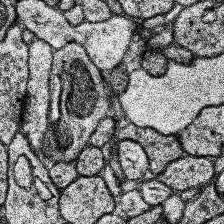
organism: Human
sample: Temporal Lobe